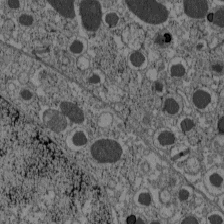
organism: C57BL Mouse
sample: Pancreatic islet